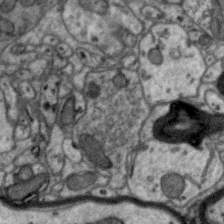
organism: Zebra finch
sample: Brain